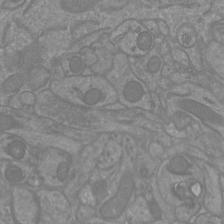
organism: Mouse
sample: Cortical neurons